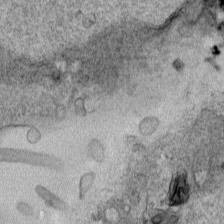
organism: Human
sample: Mitochondria in HCT116 cells